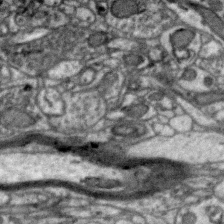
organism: Zebra finch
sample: Brain